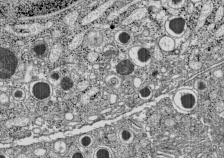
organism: C57BL Mouse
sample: Pancreatic islet